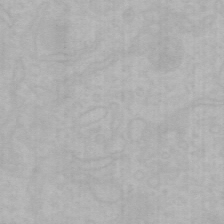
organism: Mouse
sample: Choroid plexus